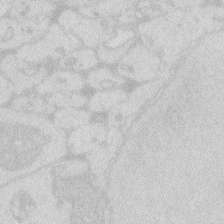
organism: Zebrafish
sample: Macrophage